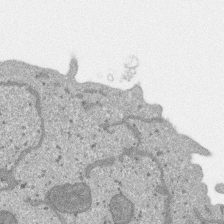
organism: Human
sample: Lung epithelial cells infected with SARS-CoV-2